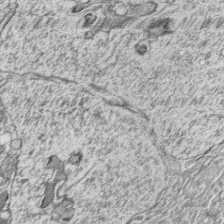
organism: Zebrafish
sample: synaptic ribbons in rod cells and cone cells